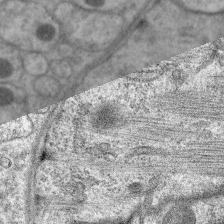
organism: C. elegans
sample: Pharynx